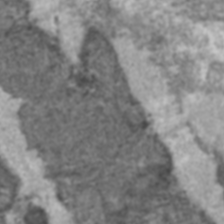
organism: C57BL Mouse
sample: Heart